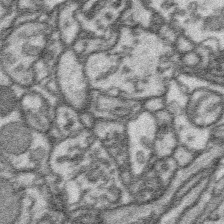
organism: Platynereis dumerilii